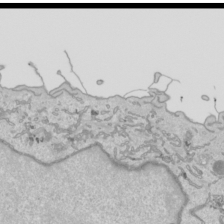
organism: Human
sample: Mitochondria in HCT116 cells